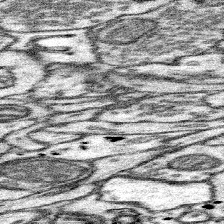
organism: Mouse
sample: Somatosensory cortex neuropil